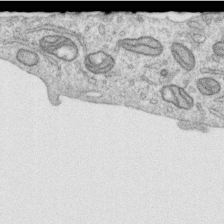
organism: Human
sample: Centriole in RPE cells